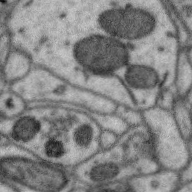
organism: Zebra finch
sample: Brain